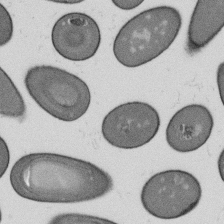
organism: B. subtilis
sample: Bacterial spore